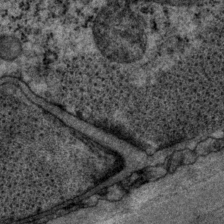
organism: P. pacificus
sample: Pharynx